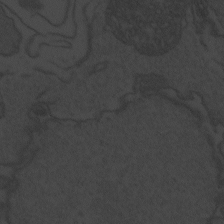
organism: Zebrafish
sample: Macrophage infected with Toxoplasma gondii